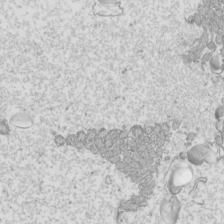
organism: Mouse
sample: Cilia; mouse epididymis